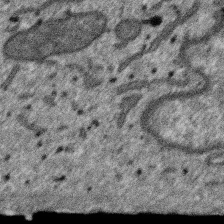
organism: Human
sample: Lung epithelial cells infected with SARS-CoV-2